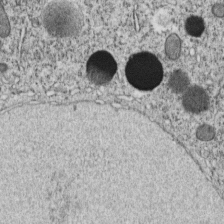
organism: C. elegans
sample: C. elegans embryo early stage